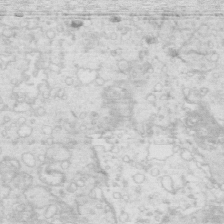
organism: Mouse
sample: Multiciliated cells